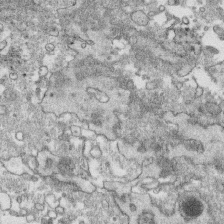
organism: Human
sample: CRL-1474